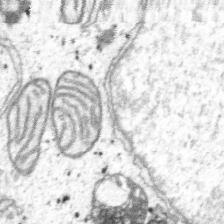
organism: Human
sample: HeLa cells